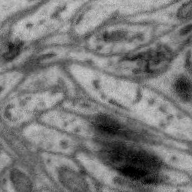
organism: Zebra finch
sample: Brain